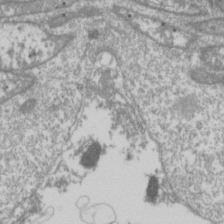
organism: Drosophila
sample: Cell division; meiosis; drosophila spermatocytes